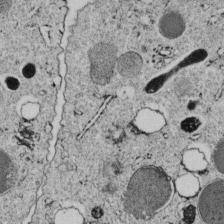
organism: C. elegans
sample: C. elegans embryo early stage